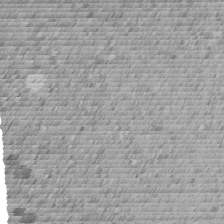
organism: C. elegans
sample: C. elegans embryo early stage